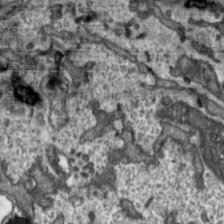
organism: Toxoplasma gondii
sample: Parasites in a vacuole inside a host cell